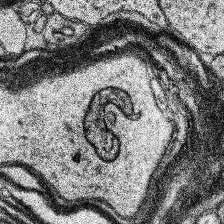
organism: Human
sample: Temporal Lobe